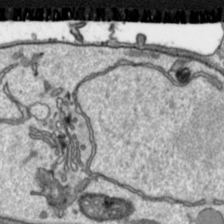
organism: Toxoplasma gondii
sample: Parasites in a vacuole inside a host cell